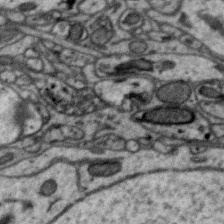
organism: Zebra finch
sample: Brain